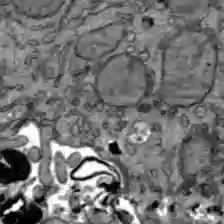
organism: C57BL Mouse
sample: Liver